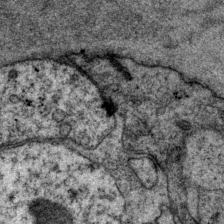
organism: P. pacificus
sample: Pharynx